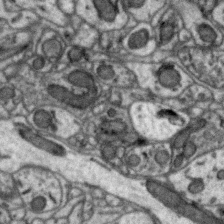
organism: Zebra finch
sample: Brain